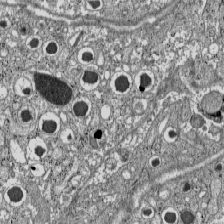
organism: C57BL Mouse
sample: Pancreatic islet